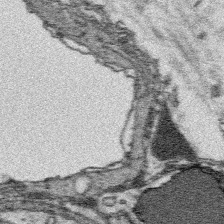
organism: Platynereis dumerilii